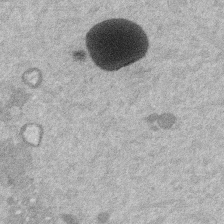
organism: Mouse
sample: Dividing mouse embryo 1 cell stage